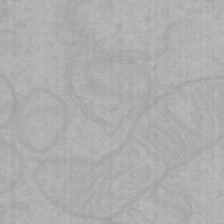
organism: Mouse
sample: Choroid plexus